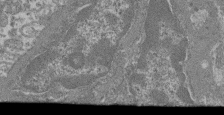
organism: Mouse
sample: Glomerulus